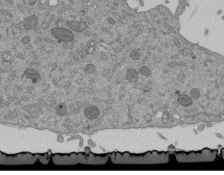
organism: Mouse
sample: ED-1 cell nuclei; centrioles